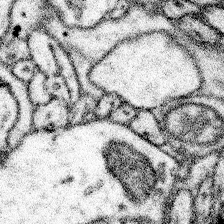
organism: Mouse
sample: Somatosensory cortex neuropil